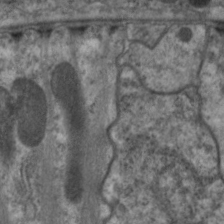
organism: C. elegans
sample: Pharynx